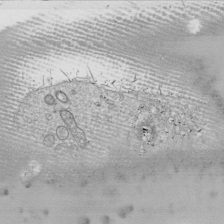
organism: Drosophila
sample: Cell division; meiosis; drosophila spermatocytes